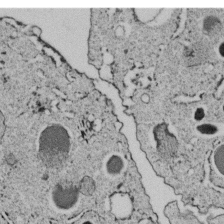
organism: C. elegans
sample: C. elegans embryo early stage